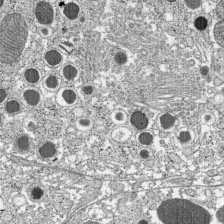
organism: C57BL Mouse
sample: Pancreatic islet